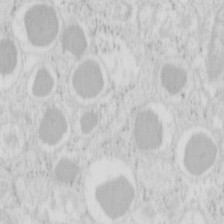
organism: Mouse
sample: Pancreas